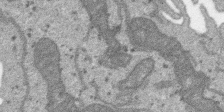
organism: Human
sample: Lung epithelial cells infected with SARS-CoV-2